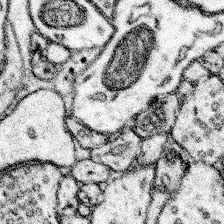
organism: Mouse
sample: Somatosensory cortex neuropil